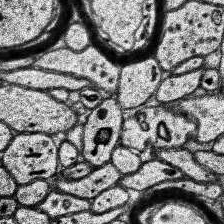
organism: Human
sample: Temporal Lobe